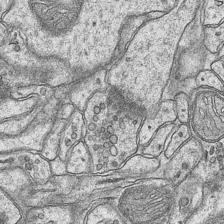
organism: Mouse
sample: CA1 Hippocampus